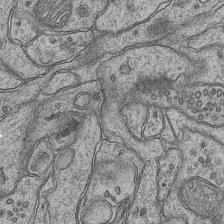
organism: Mouse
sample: CA1 Hippocampus